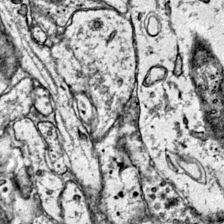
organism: Mouse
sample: Primary visual cortex